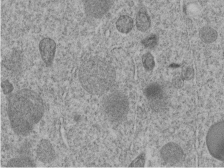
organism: C. elegans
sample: C. elegans embryo early stage